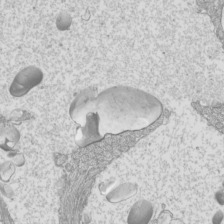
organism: Mouse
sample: Cilia; mouse epididymis